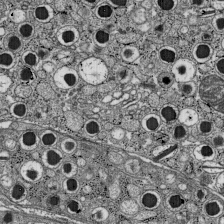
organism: C57BL Mouse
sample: Pancreatic islet